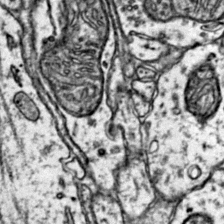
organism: Mouse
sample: Primary visual cortex